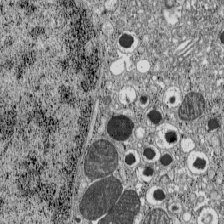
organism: C57BL Mouse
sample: Pancreatic islet